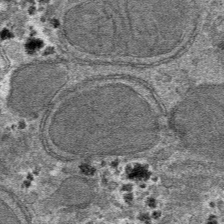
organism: Mouse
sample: Mouse hepatocytes